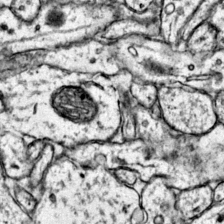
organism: Mouse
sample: Primary visual cortex